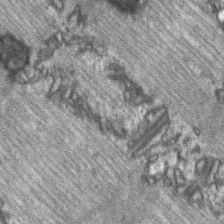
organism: C57BL Mouse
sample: Soleus